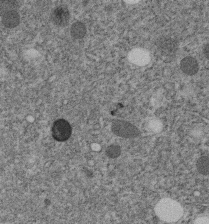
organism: C. elegans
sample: C. elegans embryo early stage